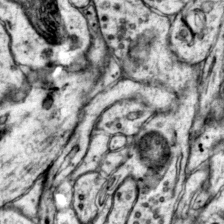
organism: Mouse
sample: Primary visual cortex